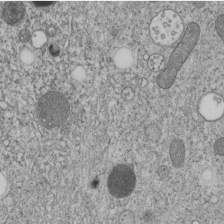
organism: C. elegans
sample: C. elegans embryo early stage